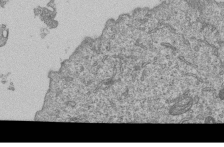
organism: Human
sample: MDA-MB-231 cells